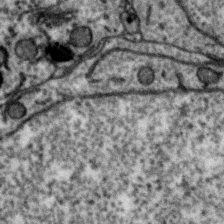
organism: Zebra finch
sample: Brain